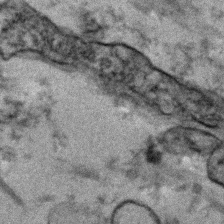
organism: Human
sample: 1205lu cells